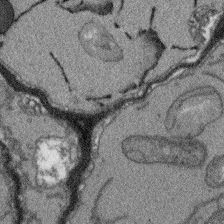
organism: Arabidopsis thaliana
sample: Root tip